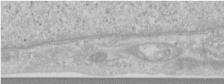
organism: Human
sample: Centriole in RPE cells